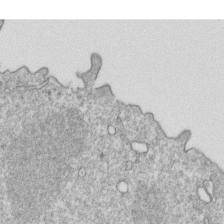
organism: Mouse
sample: Activated OT-1 CD8+ T cells